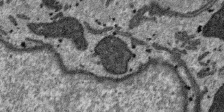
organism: Human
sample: Lung epithelial cells, uninfected (mock) control